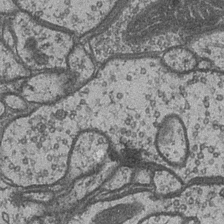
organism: Drosophila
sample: Optic medulla